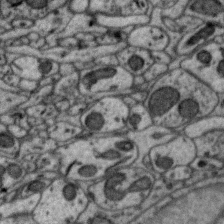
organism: Zebra finch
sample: Brain